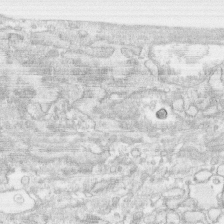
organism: Human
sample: CRL-1474